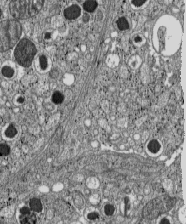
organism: C57BL Mouse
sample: Pancreatic islet